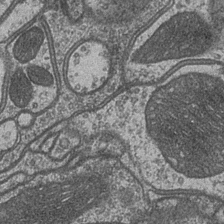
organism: Drosophila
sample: Optic medulla